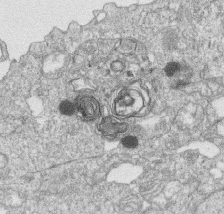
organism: Human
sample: HeLa cell HIV synapse